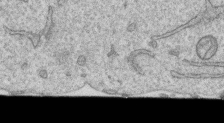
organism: Human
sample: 1205lu cells